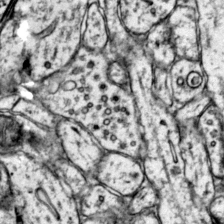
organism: Mouse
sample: Primary visual cortex